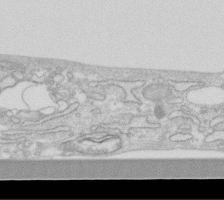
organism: Human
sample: Fibroblast cells